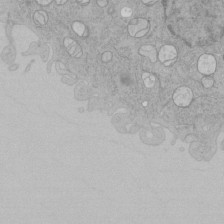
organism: Human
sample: Mitochondria in HCT116 cells